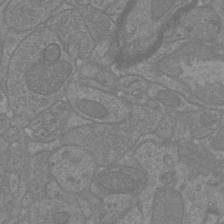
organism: Mouse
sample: Cortical neurons